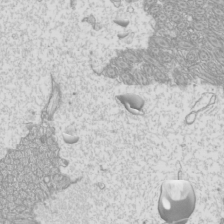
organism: Mouse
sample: Cilia; mouse epididymis